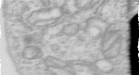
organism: Human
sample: Centriole in RPE cells